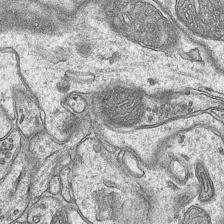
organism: Mouse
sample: CA1 Hippocampus